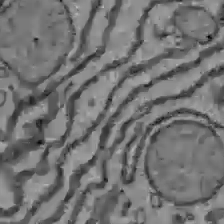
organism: C57BL Mouse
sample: Liver